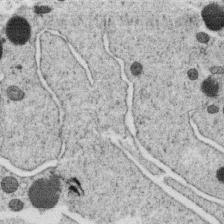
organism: C. elegans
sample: C. elegans oocyte; sperm cells